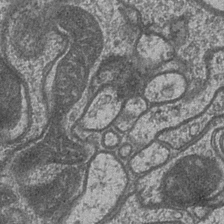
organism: Drosophila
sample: Optic medulla